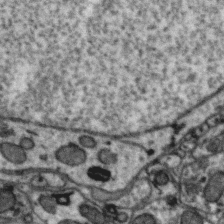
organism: Zebra finch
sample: Brain